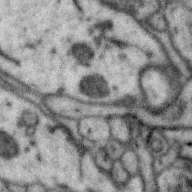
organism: Zebra finch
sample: Brain